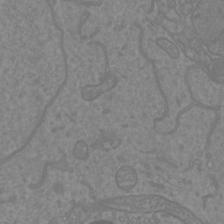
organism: Mouse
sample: Cortical neurons